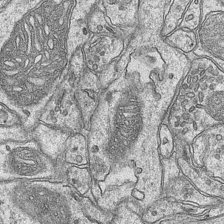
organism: Mouse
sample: CA1 Hippocampus